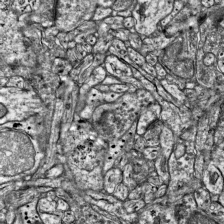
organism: Mouse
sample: Visual Cortex